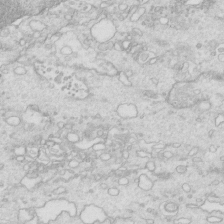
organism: Mouse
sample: Multiciliated cells